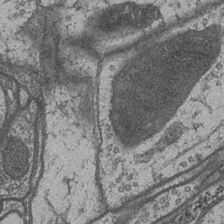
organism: Drosophila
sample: Optic medulla